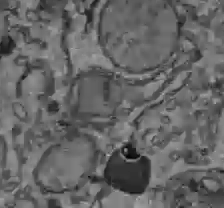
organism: C57BL Mouse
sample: Liver